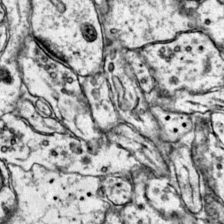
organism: Mouse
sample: Primary visual cortex